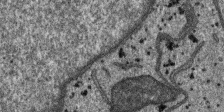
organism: Human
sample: Lung epithelial cells infected with SARS-CoV-2